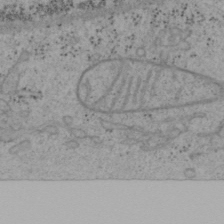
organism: Human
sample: HeLa cells